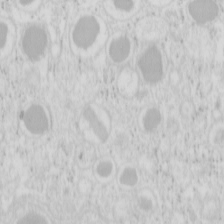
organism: Mouse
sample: Pancreas